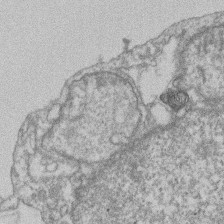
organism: Mouse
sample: T cell stromal cell synapse